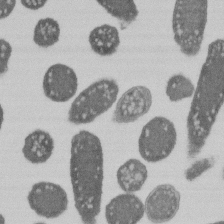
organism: E. coli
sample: Bacterial nucleoid